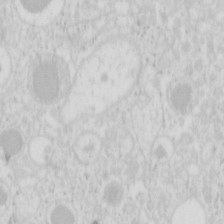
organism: Mouse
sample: Pancreas